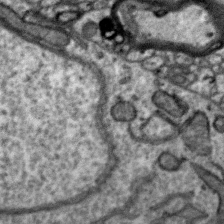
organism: Zebra finch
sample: Brain